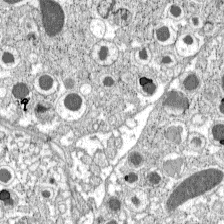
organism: C57BL Mouse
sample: Pancreatic islet